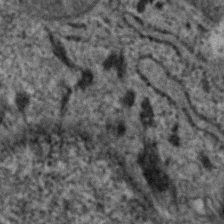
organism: Human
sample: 1205lu cells